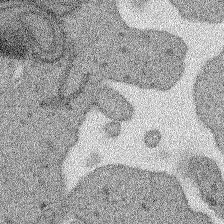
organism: Human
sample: HeLa cells